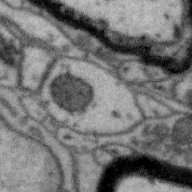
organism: Zebra finch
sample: Brain